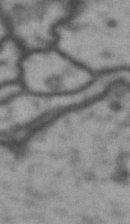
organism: Drosophila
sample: Brain